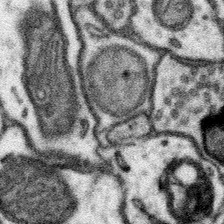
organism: Mouse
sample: Somatosensory cortex neuropil